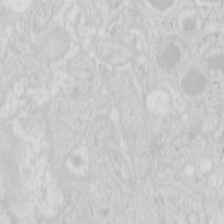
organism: Mouse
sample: Pancreas